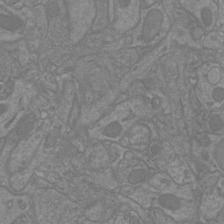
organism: Mouse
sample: Cortical neurons